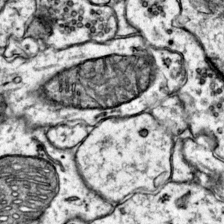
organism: Mouse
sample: Primary visual cortex